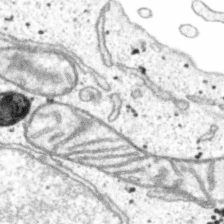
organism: Human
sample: HeLa cells